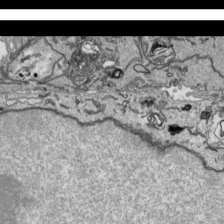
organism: Human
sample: Mitochondria in HCT116 cells